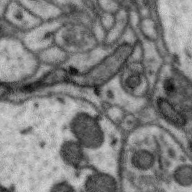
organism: Zebra finch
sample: Brain